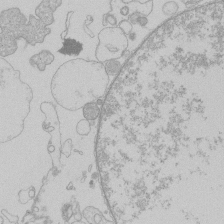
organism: Human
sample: Macrophage cells